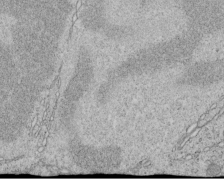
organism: C. elegans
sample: C. elegans embryo early stage